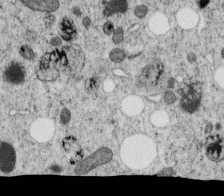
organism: C. elegans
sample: C. elegans oocyte; sperm cells